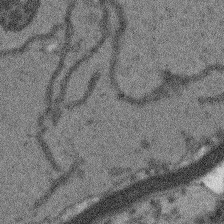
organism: Arabidopsis thaliana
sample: Root tip